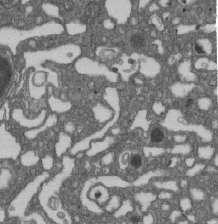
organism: Drosophila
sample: Nephrocyte